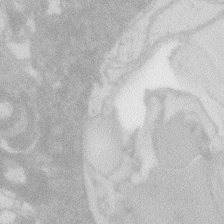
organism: Zebrafish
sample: Macrophage